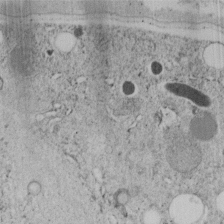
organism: C. elegans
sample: C. elegans embryo early stage